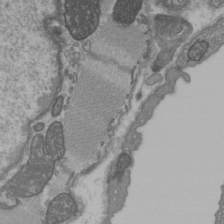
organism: C57BL Mouse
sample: Heart